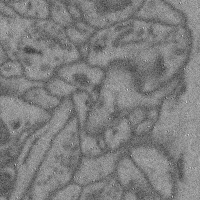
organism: Mouse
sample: Cerebral cortex